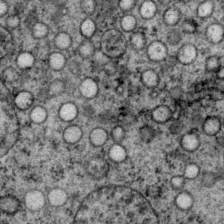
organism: P. pacificus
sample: Pharynx